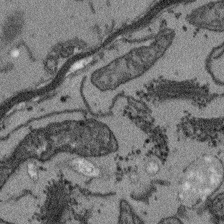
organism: Arabidopsis thaliana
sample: Root tip